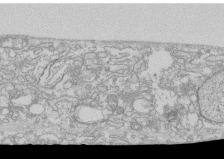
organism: Human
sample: CRL-1474